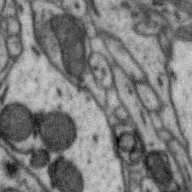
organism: Zebra finch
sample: Brain